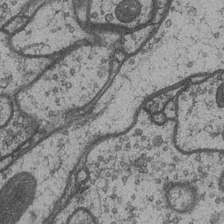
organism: Drosophila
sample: Optic medulla